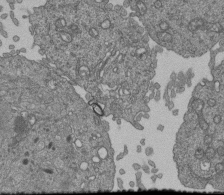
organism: Human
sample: Retinal organoid Rod and Cone cells